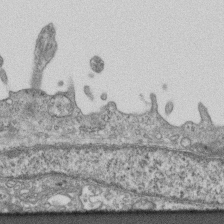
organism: Mouse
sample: Centriole in ependymal cells